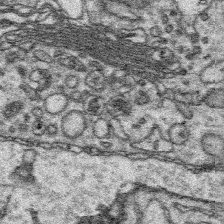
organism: Platynereis dumerilii